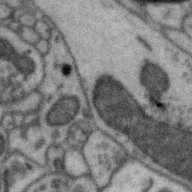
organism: Zebra finch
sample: Brain